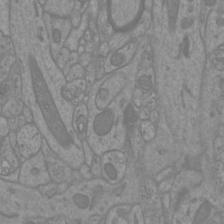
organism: Mouse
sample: Cortical neurons